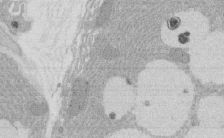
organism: Rat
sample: Salivary granule